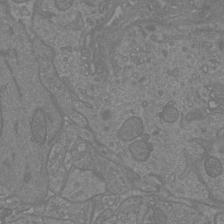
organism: Mouse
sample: Cortical neurons